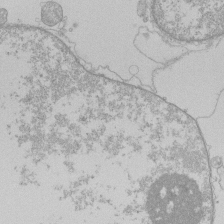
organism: Human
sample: Macrophage cells